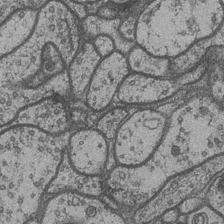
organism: Drosophila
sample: Optic medulla